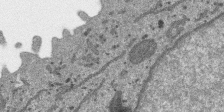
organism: Human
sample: Lung epithelial cells infected with SARS-CoV-2